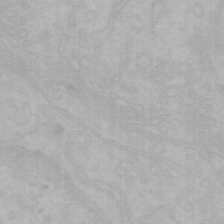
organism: Mouse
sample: Choroid plexus